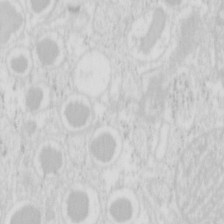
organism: Mouse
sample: Pancreas